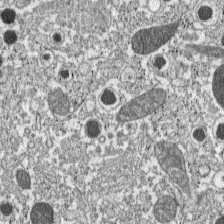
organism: C57BL Mouse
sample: Pancreatic islet